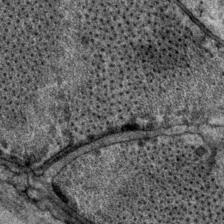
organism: P. pacificus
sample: Pharynx